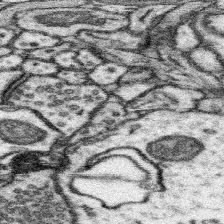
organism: Mouse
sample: Somatosensory cortex neuropil